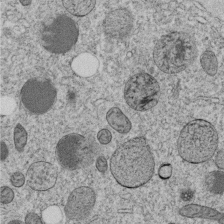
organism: C. elegans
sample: C. elegans embryo early stage